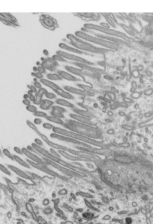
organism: Mouse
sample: Mouse epididymis efferent ductule cilia